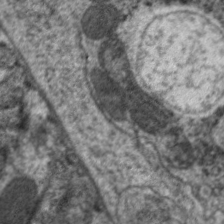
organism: C. elegans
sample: Pharynx